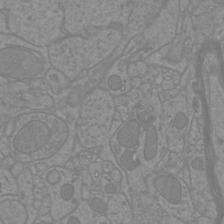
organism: Mouse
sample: Cortical neurons